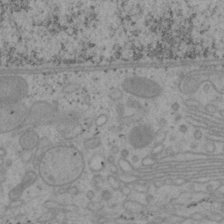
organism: Human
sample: HeLa cells